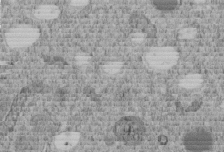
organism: C. elegans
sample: C. elegans embryo early stage